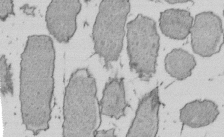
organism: E. coli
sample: Bacterial nucleoid